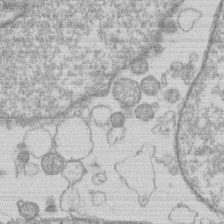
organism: Human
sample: Macrophage cells